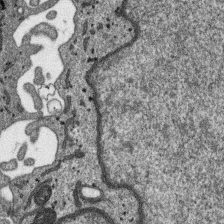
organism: Human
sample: Lung epithelial cells infected with SARS-CoV-2